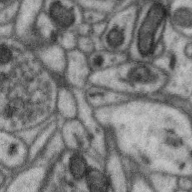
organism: Zebra finch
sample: Brain